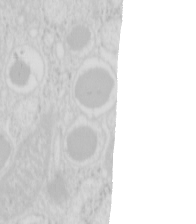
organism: Mouse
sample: Pancreas